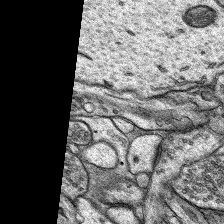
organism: Rat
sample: Hippocampus